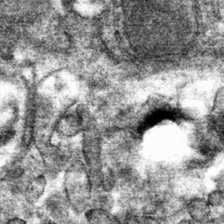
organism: Mouse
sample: Mouse hepatocytes